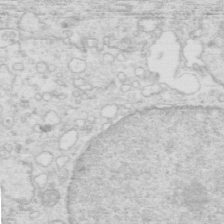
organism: Mouse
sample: Multiciliated cells